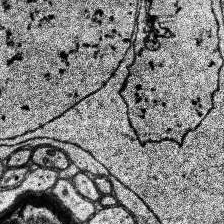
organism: Human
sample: Temporal Lobe